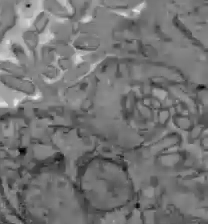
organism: C57BL Mouse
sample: Liver